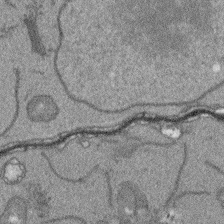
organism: Arabidopsis thaliana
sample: Root tip